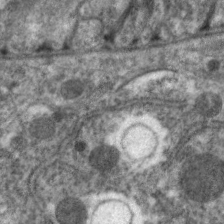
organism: C. elegans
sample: Pharynx